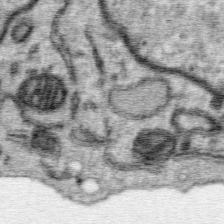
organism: Human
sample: HeLa cells